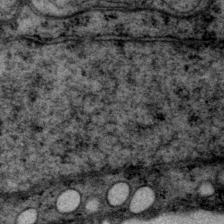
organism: P. pacificus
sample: Pharynx